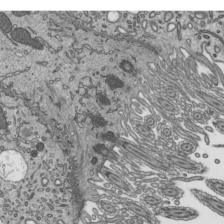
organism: Mouse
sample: Mouse epididymis efferent ductule cilia